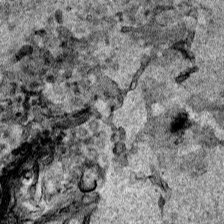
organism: Human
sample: Mitochondria in HCT116 cells